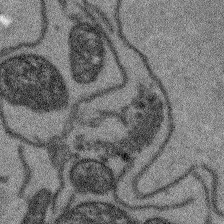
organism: Arabidopsis thaliana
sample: Root tip